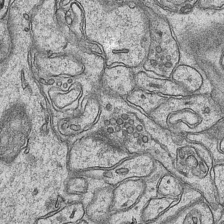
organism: Mouse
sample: CA1 Hippocampus